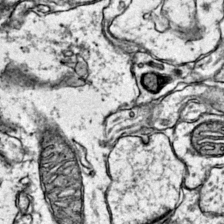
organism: Mouse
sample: Primary visual cortex